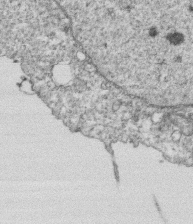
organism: Human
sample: HeLa cell HIV synapse